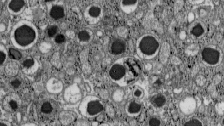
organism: C57BL Mouse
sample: Pancreatic islet